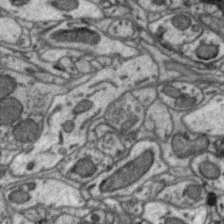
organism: Zebra finch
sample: Brain